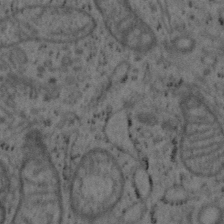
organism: Human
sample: HeLa cells